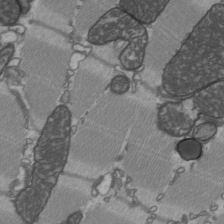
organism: C57BL Mouse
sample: Heart